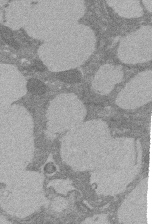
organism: Rat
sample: Salivary granule